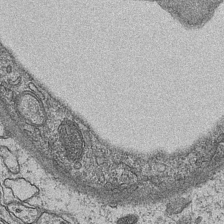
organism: Mouse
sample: CA1 Hippocampus